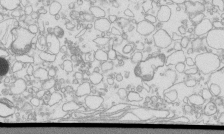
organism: Mouse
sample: Macrophages